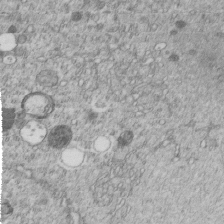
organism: C. elegans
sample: C. elegans embryo early stage